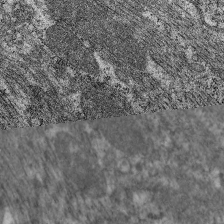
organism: C. elegans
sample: Pharynx